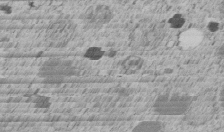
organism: C. elegans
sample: C. elegans embryo early stage